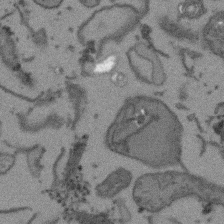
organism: Arabidopsis thaliana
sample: Root tip